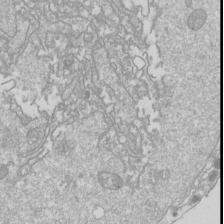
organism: Drosophila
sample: Cell division; meiosis; drosophila spermatocytes